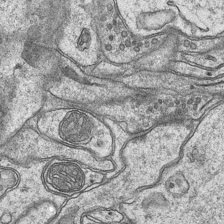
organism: Mouse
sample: CA1 Hippocampus